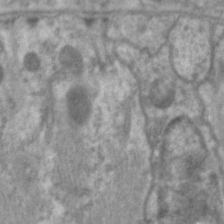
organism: C. elegans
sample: Pharynx